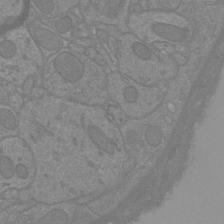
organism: Mouse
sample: Cortical neurons